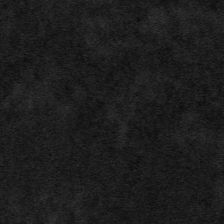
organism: Tuwongella immobilis